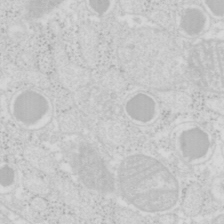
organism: Mouse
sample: Pancreas